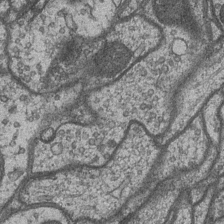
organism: Drosophila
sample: Optic medulla